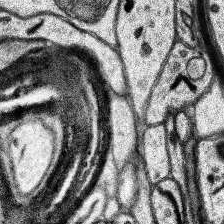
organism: Human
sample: Temporal Lobe